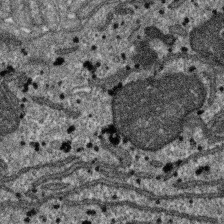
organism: Human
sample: Lung epithelial cells infected with SARS-CoV-2